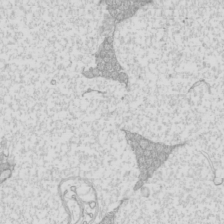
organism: Mouse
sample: Cilia; mouse epididymis